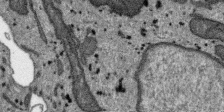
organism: Human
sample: Lung epithelial cells, uninfected (mock) control